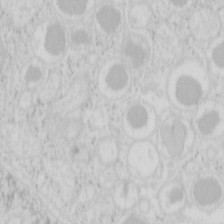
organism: Mouse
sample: Pancreas